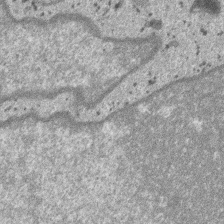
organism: Human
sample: Lung epithelial cells infected with SARS-CoV-2